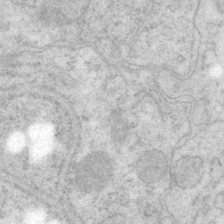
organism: P. pacificus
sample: Pharynx